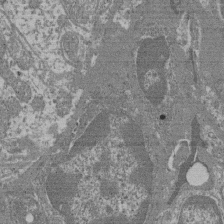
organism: Mouse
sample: Glomerulus